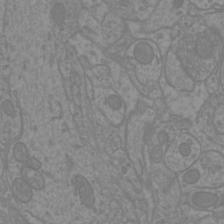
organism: Mouse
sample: Cortical neurons